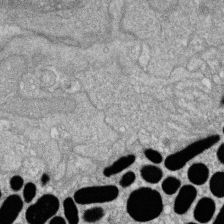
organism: Zebrafish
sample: Cilia; retinal pigment epithelium